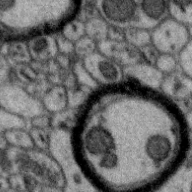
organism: Zebra finch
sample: Brain